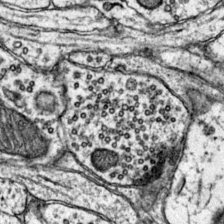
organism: Mouse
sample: Primary visual cortex